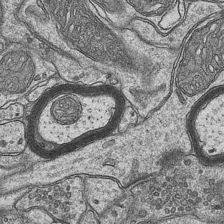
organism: Mouse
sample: CA1 Hippocampus